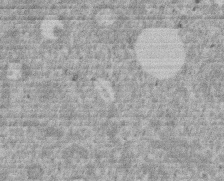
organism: Mouse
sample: Dividing mouse embryo 1 cell stage